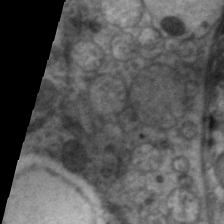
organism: C. elegans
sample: Pharynx